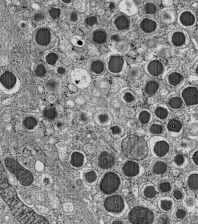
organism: C57BL Mouse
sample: Pancreatic islet